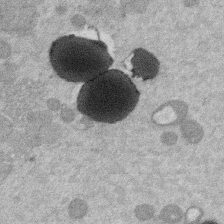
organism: Mouse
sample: Dividing mouse embryo 1 cell stage